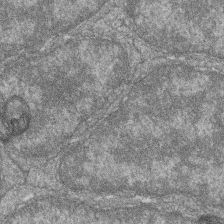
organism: Zebrafish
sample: Cilia; retinal pigment epithelium